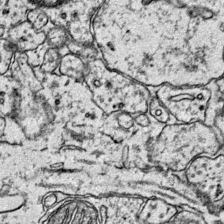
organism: Mouse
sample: Primary visual cortex